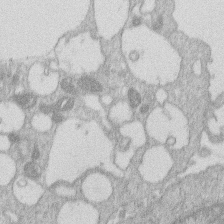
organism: Human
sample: Macrophage cells